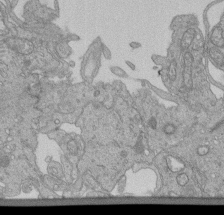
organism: Human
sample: Retinal organoid Rod and Cone cells